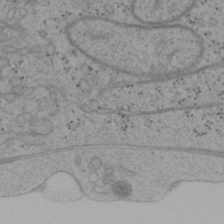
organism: Human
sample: HeLa cells